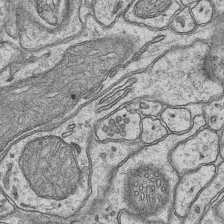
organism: Mouse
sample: CA1 Hippocampus